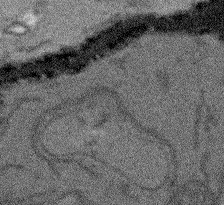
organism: Arabidopsis thaliana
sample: Root tip